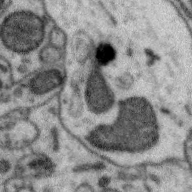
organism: Zebra finch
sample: Brain